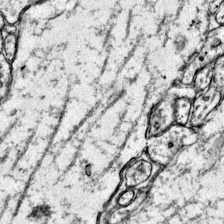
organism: Mouse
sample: Primary visual cortex